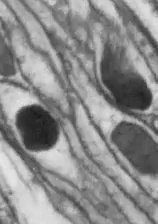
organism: Drosophila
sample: Optic lobe